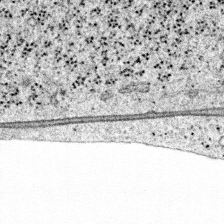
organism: Human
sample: HeLa cells